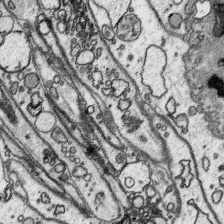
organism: Platynereis dumerilii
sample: Parapodia